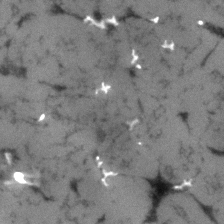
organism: Human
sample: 1205lu cells